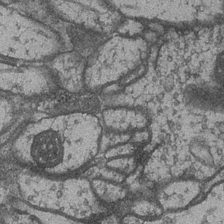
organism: Drosophila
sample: Optic medulla